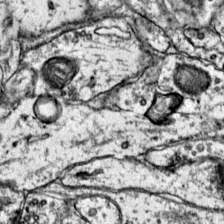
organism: Mouse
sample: Primary visual cortex